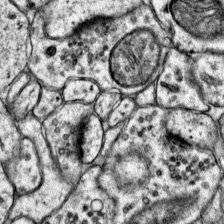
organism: Mouse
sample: Primary visual cortex